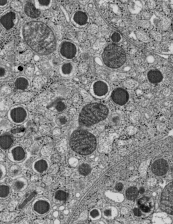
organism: C57BL Mouse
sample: Pancreatic islet